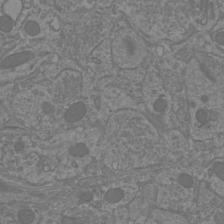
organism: Mouse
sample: Cortical neurons